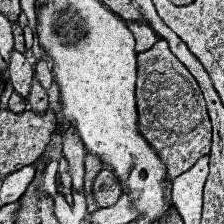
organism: Human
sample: Temporal Lobe